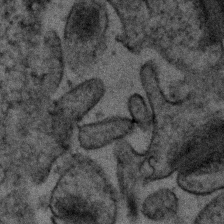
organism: Human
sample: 1205lu cells